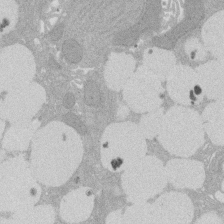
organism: Rat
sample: Salivary granule